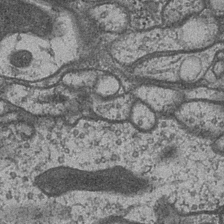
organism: Drosophila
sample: Optic medulla